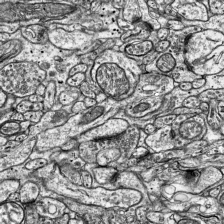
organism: Mouse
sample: Visual Cortex